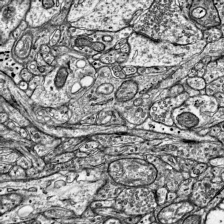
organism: Mouse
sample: Visual Cortex